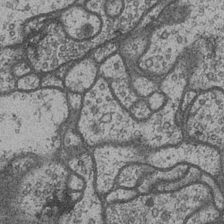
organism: Drosophila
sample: Optic medulla